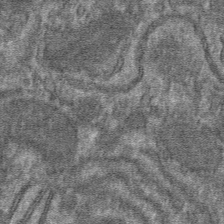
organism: Mouse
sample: Mouse hepatocytes